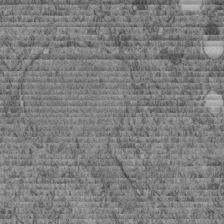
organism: C. elegans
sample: C. elegans embryo early stage